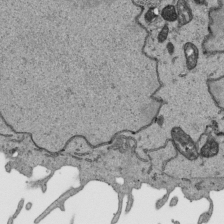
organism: Human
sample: Mitochondria in HCT116 cells